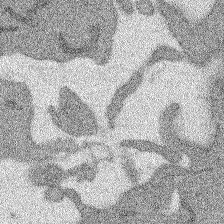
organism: Human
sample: HeLa cells